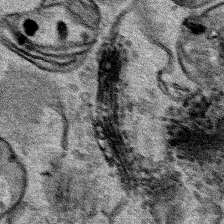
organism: Human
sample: Mitochondria in HCT116 cells